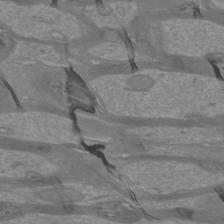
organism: Mouse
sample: Cortical neurons